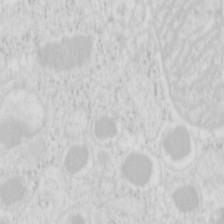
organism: Mouse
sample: Pancreas